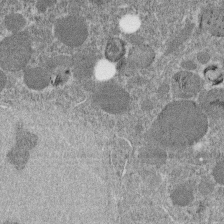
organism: C. elegans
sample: C. elegans embryo early stage